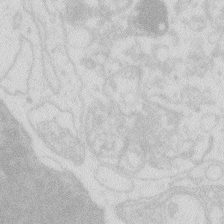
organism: Zebrafish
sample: Macrophage